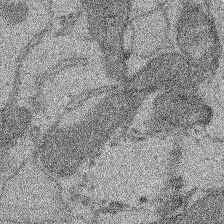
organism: Human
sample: HeLa cells